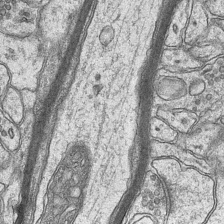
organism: Mouse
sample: CA1 Hippocampus